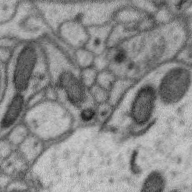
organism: Zebra finch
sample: Brain